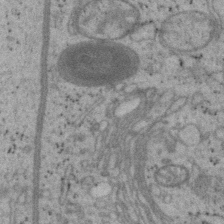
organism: Human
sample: HeLa cells